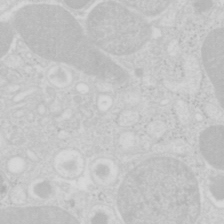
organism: Mouse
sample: Pancreas